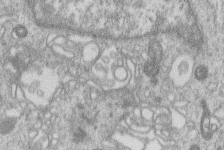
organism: Human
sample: Macrophage cells